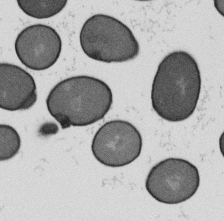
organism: B. subtilis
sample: Bacterial spore